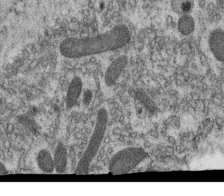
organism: C. elegans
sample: C. elegans oocyte; sperm cells